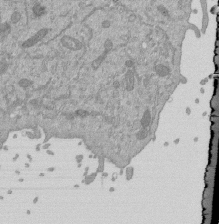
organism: Mouse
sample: ED-1 cell nuclei; centrioles